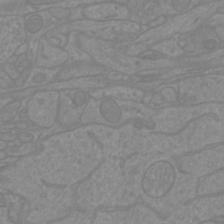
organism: Mouse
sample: Cortical neurons